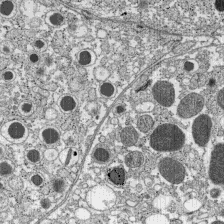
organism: C57BL Mouse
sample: Pancreatic islet